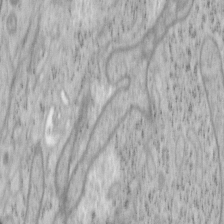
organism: Human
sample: HeLa cells